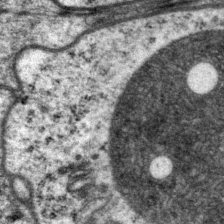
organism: P. pacificus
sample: Pharynx